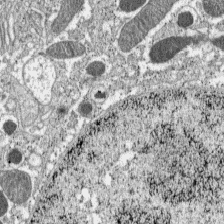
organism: C57BL Mouse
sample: Pancreatic islet